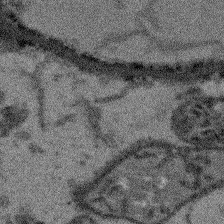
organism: Arabidopsis thaliana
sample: Root tip